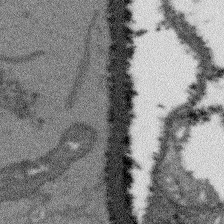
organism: Arabidopsis thaliana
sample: Root tip